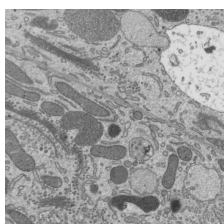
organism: Mouse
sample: Mouse epididymis efferent ductule cilia